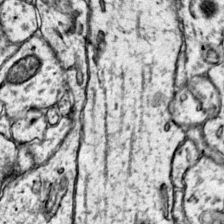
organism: Mouse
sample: Primary visual cortex